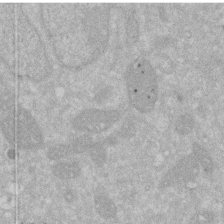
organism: Human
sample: HIV infected U937 cells